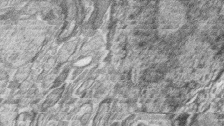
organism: Zebrafish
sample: synaptic ribbons in rod cells and cone cells